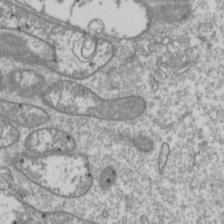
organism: Drosophila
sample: Cell division; meiosis; drosophila spermatocytes